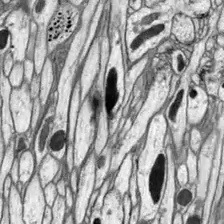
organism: Drosophila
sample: Optic lobe